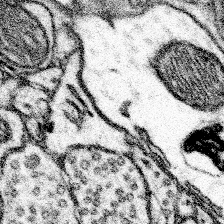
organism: Mouse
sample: Somatosensory cortex neuropil